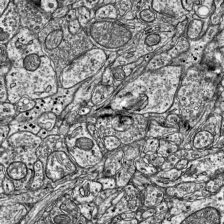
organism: Mouse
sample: Visual Cortex